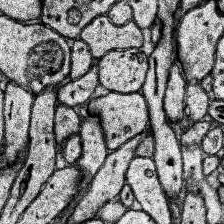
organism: Human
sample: Temporal Lobe